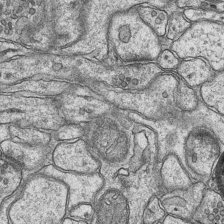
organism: Mouse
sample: CA1 Hippocampus